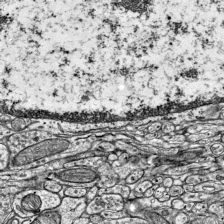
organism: Mouse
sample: Visual Cortex